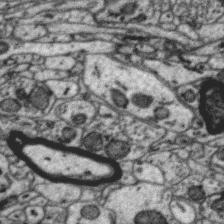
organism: Zebra finch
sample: Brain